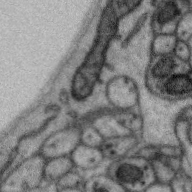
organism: Zebra finch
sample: Brain